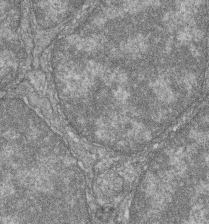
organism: Zebrafish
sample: Cilia; retinal pigment epithelium